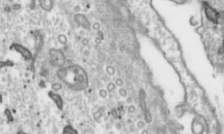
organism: Toxoplasma gondii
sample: Parasites in a vacuole inside a host cell